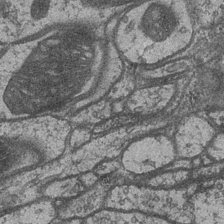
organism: Drosophila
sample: Optic medulla